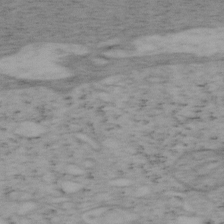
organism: Mouse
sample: OT-I killer T cells with ID8 ovarian cancer cells